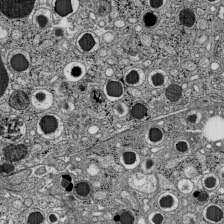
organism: C57BL Mouse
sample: Pancreatic islet